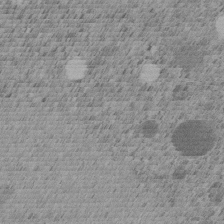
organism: C. elegans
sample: C. elegans embryo early stage